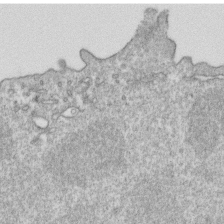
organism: Mouse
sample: Activated OT-1 CD8+ T cells